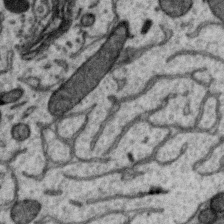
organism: Zebra finch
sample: Brain